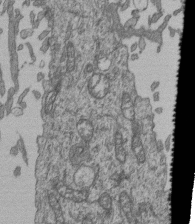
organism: Human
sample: Retinal organoid Rod and Cone cells